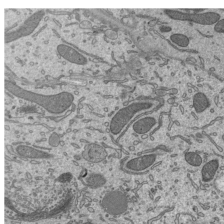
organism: Mouse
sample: Mouse epididymis efferent ductule cilia